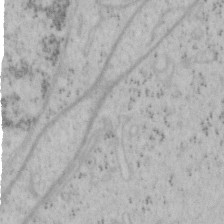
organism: Human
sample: HeLa cells